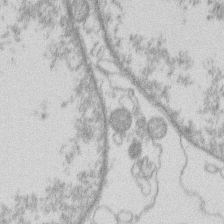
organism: Human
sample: Macrophage cells